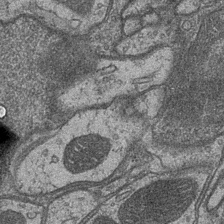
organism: Drosophila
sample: Optic medulla